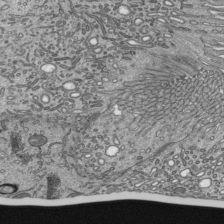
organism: Mouse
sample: Mouse epididymis efferent ductule cilia